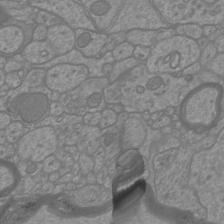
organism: Mouse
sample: Cortical neurons